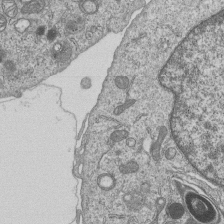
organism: Human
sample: MDA-MB-231 cells